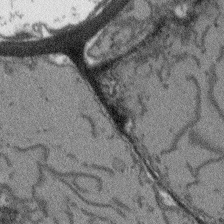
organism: Arabidopsis thaliana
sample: Root tip